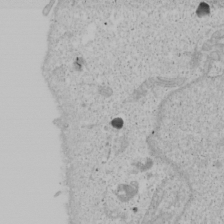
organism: Human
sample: Mitochondria in U2OS cells